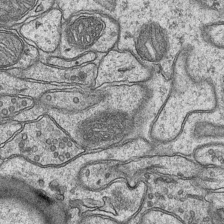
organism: Mouse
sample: CA1 Hippocampus